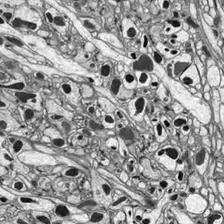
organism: Drosophila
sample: Optic lobe